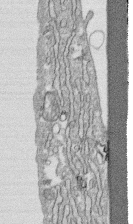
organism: Human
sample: CRL-1474